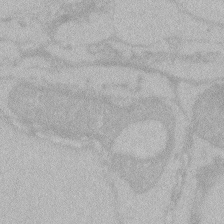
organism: Zebrafish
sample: Macrophage infected with Toxoplasma gondii